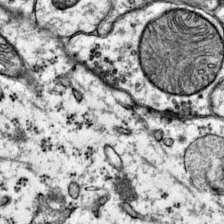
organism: Mouse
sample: Primary visual cortex